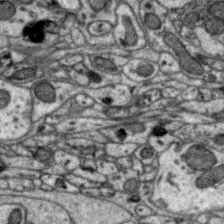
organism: Zebra finch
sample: Brain